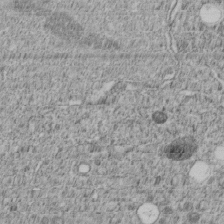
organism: C. elegans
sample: C. elegans embryo early stage